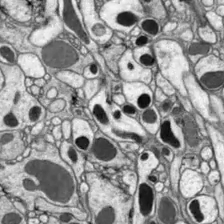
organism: Drosophila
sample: Optic lobe